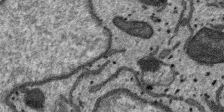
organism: Human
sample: Lung epithelial cells, uninfected (mock) control